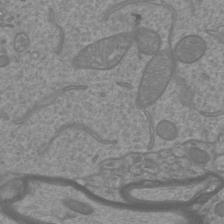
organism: Mouse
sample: Cortical neurons